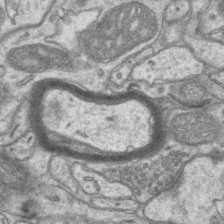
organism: Mouse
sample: CA1 Hippocampus